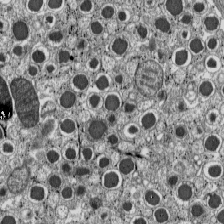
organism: C57BL Mouse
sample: Pancreatic islet